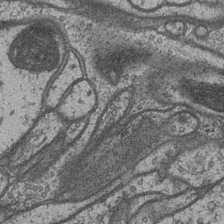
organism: Drosophila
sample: Optic medulla